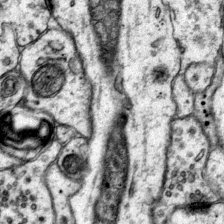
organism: Mouse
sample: Primary visual cortex